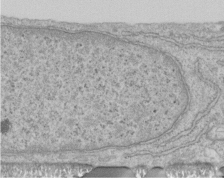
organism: Human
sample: Centriole in RPE cells